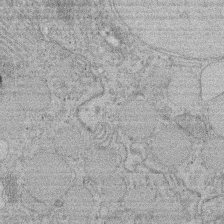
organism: Rat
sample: Salivary granule